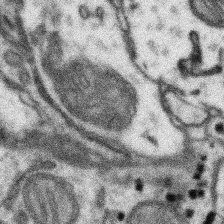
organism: Mouse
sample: Somatosensory cortex neuropil